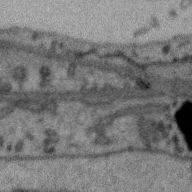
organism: Zebra finch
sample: Brain